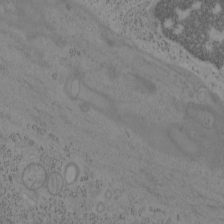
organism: Mouse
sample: OT-I killer T cells with ID8 ovarian cancer cells